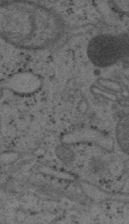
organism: Human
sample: HeLa cells